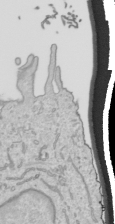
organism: Human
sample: Mitochondria in HCT116 cells